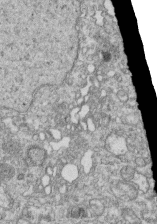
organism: Human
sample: HeLa cell HIV synapse